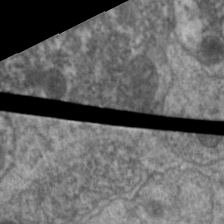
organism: C. elegans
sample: Pharynx